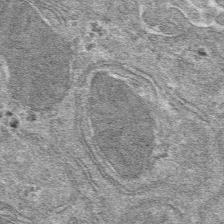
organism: Mouse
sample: Mouse hepatocytes